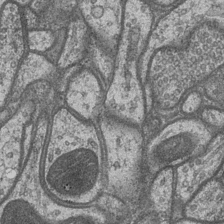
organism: Drosophila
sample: Optic medulla